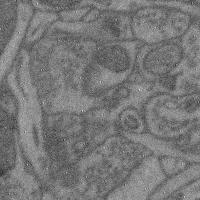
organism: Mouse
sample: Cerebral cortex